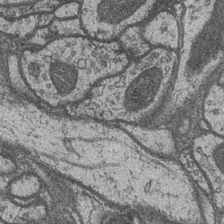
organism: Drosophila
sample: Optic medulla